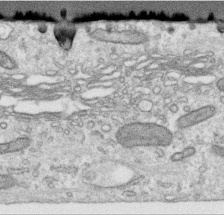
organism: Human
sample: Centriole in RPE cells